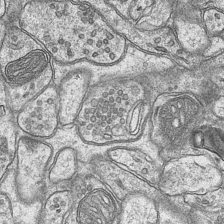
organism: Mouse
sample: CA1 Hippocampus